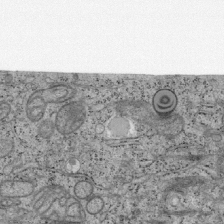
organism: Human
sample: HeLa cells